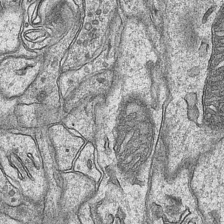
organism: Mouse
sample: CA1 Hippocampus